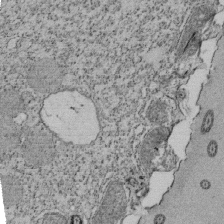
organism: Tetrahymena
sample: Cilia in tetrahymena